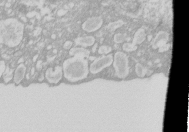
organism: Xenopus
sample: Cilia; centrioles in frog embryo cells